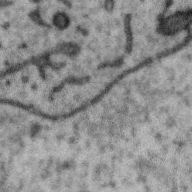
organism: Zebra finch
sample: Brain